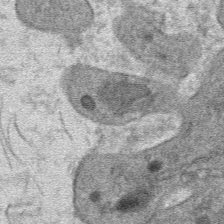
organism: Mouse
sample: Mouse hepatocytes